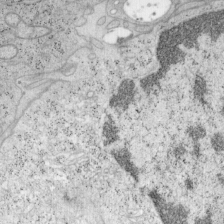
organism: Mouse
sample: OT-I killer T cells with ID8 ovarian cancer cells